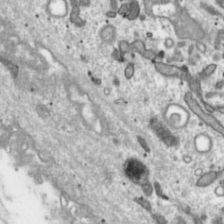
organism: Toxoplasma gondii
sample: Parasites in a vacuole inside a host cell